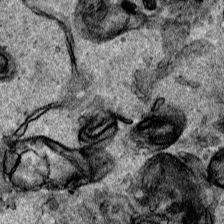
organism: Human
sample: Mitochondria in HCT116 cells